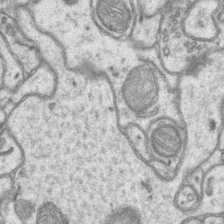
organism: Mouse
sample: CA1 Hippocampus